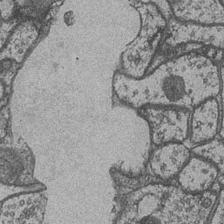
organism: Drosophila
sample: Optic medulla